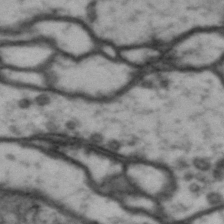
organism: Drosophila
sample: Brain